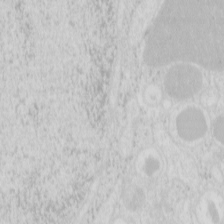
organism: Mouse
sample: Pancreas